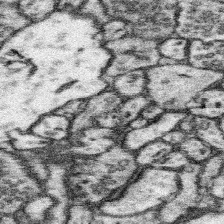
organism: Mouse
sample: Somatosensory cortex neuropil